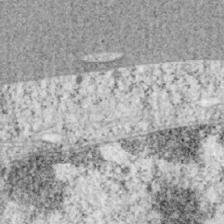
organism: Mouse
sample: OT-I killer T cells with ID8 ovarian cancer cells